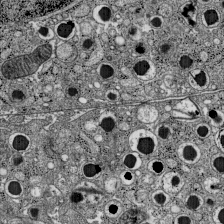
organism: C57BL Mouse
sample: Pancreatic islet